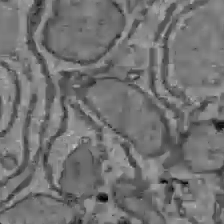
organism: C57BL Mouse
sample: Liver